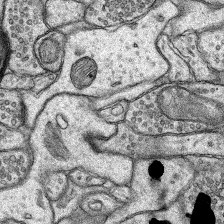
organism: Rat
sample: Hippocampus